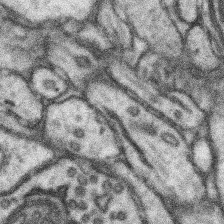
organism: Mouse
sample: Somatosensory cortex neuropil